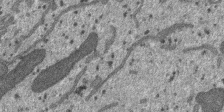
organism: Human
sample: Lung epithelial cells infected with SARS-CoV-2